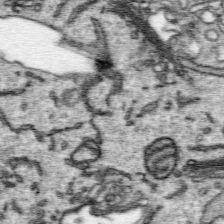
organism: Human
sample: HeLa cells